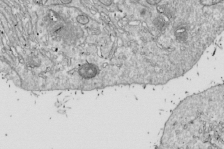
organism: Drosophila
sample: Cell division; meiosis; drosophila spermatocytes